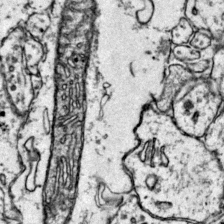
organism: Mouse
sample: Primary visual cortex